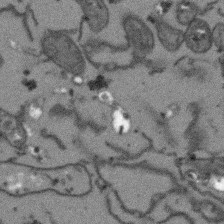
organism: Arabidopsis thaliana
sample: Root tip